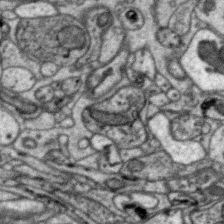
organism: Zebra finch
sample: Brain